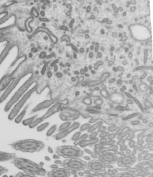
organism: Mouse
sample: Mouse epididymis efferent ductule cilia